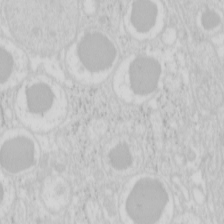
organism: Mouse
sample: Pancreas